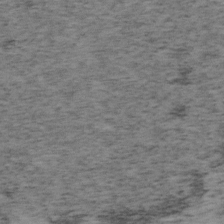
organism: Mouse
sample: OT-I killer T cells with ID8 ovarian cancer cells